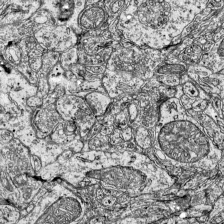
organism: Mouse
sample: Visual Cortex